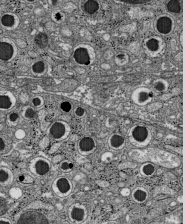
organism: C57BL Mouse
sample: Pancreatic islet